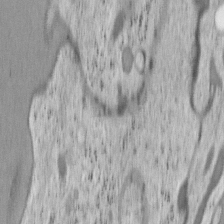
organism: Human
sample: HeLa cells